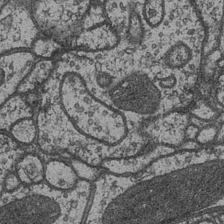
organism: Drosophila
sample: Optic medulla